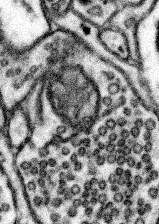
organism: Mouse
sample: Somatosensory cortex neuropil